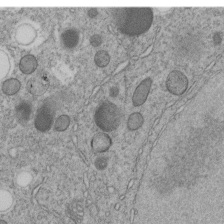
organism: C. elegans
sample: C. elegans embryo early stage